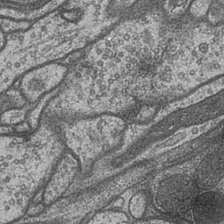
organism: Drosophila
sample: Optic medulla